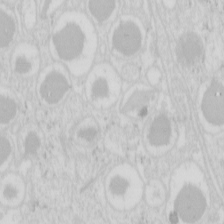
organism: Mouse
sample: Pancreas